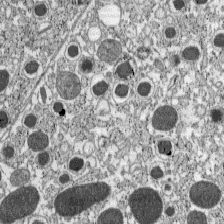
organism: C57BL Mouse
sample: Pancreatic islet